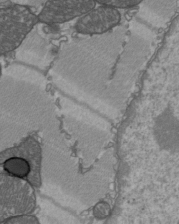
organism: C57BL Mouse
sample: Heart